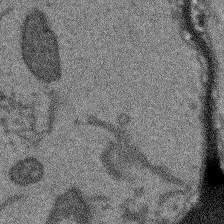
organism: Arabidopsis thaliana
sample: Root tip